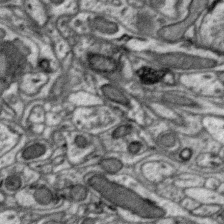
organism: Zebra finch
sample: Brain